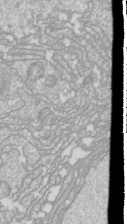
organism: Drosophila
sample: Cell division; meiosis; drosophila spermatocytes